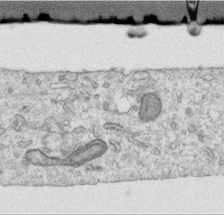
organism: Human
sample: Centriole in RPE cells